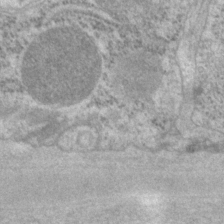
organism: P. pacificus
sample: Pharynx